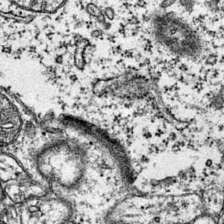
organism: Mouse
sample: Primary visual cortex